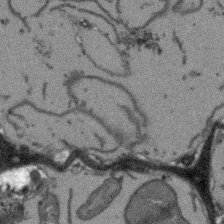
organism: Arabidopsis thaliana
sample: Root tip